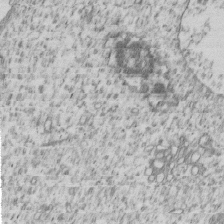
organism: Human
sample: MDA-MB-231 cells